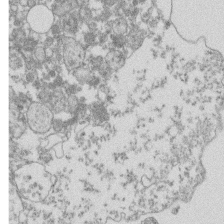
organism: Human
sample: HeLa cell HIV synapse